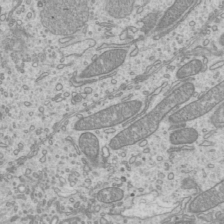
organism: Mouse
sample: Cilia; mouse epididymis